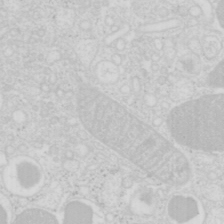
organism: Mouse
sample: Pancreas